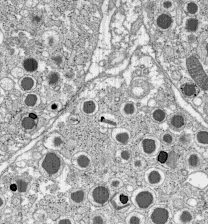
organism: C57BL Mouse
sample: Pancreatic islet